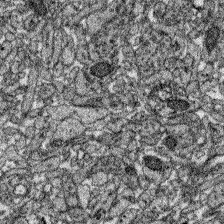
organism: Zebrafish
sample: Larval olfactory bulb